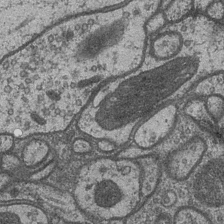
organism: Drosophila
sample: Optic medulla